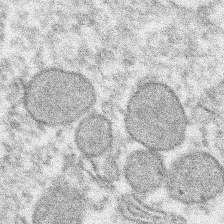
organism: Xenopus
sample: Cilia; centrioles in frog embryo cells